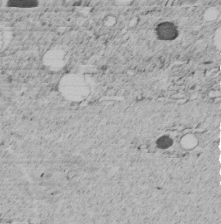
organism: C. elegans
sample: C. elegans embryo early stage